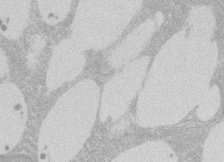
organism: Rat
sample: Salivary granule